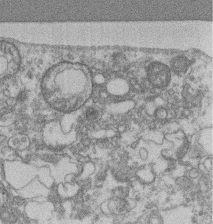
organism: Mouse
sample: T cell stromal cell synapse